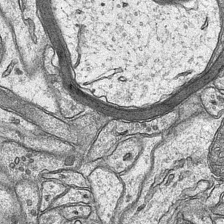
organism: Mouse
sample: CA1 Hippocampus